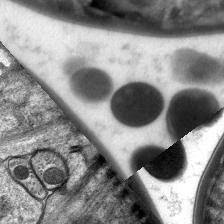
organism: C. elegans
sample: Pharynx